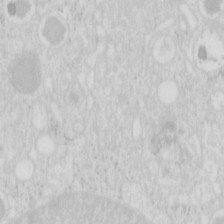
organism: Mouse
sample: Pancreas